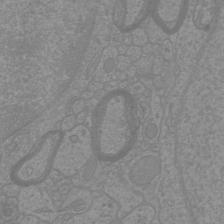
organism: Mouse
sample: Cortical neurons